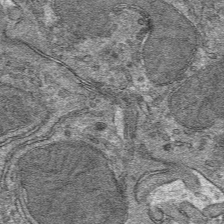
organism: Mouse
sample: Mouse hepatocytes